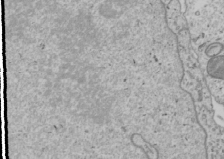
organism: Human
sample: Mitochondria in U2OS cells